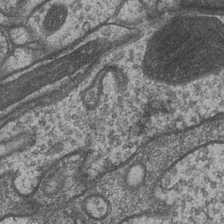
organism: Drosophila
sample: Optic medulla